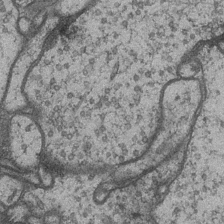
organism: Drosophila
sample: Optic medulla